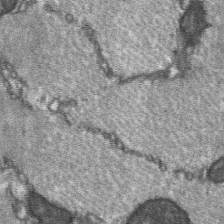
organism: C57BL Mouse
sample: Soleus